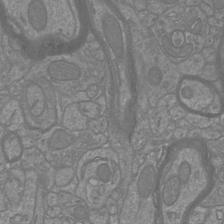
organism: Mouse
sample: Cortical neurons